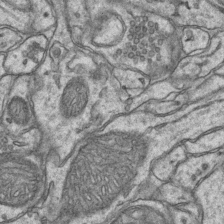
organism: Mouse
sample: CA1 Hippocampus